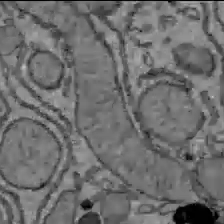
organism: C57BL Mouse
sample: Liver